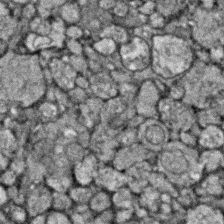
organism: Zebrafish